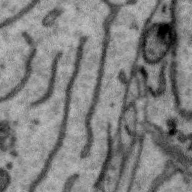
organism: Zebra finch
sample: Brain